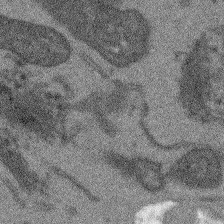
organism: Arabidopsis thaliana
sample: Root tip